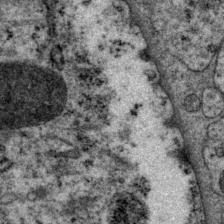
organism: P. pacificus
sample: Pharynx